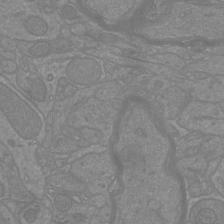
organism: Mouse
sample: Cortical neurons